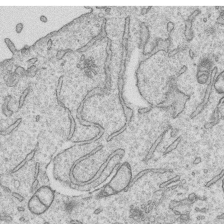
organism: Human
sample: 1205lu cells